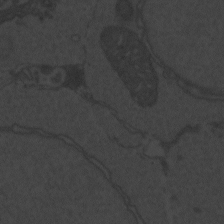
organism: Zebrafish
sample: Macrophage infected with Toxoplasma gondii